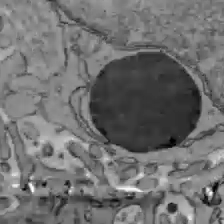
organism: C57BL Mouse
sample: Liver